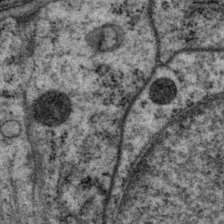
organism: P. pacificus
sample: Pharynx